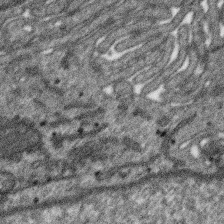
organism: Human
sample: Lung epithelial cells infected with SARS-CoV-2